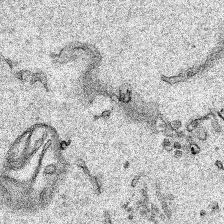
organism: Human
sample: Mitochondria in HCT116 cells